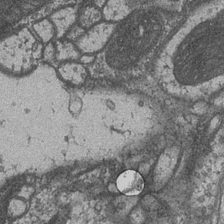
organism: Drosophila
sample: Optic medulla